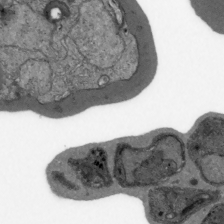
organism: Plasmodium falciparum